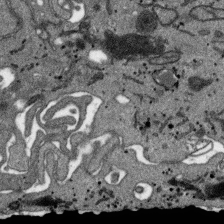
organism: Human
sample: Lung epithelial cells, uninfected (mock) control